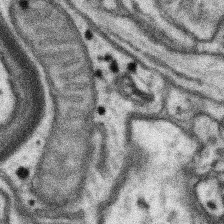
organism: Mouse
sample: Somatosensory cortex neuropil